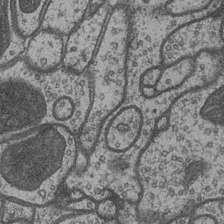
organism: Drosophila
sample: Optic medulla